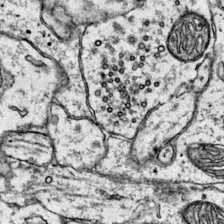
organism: Mouse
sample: Primary visual cortex